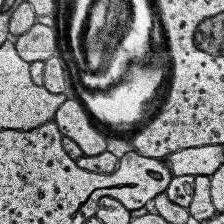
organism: Human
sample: Temporal Lobe